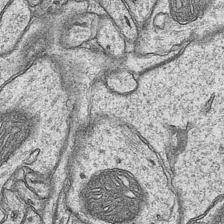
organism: Mouse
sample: CA1 Hippocampus